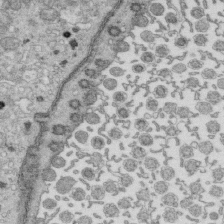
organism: Mouse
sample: Multiciliated cells